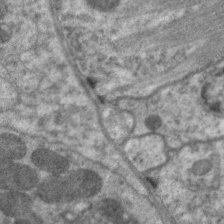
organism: C. elegans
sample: Pharynx